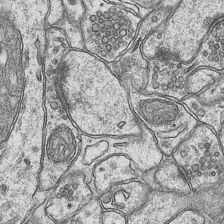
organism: Mouse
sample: CA1 Hippocampus